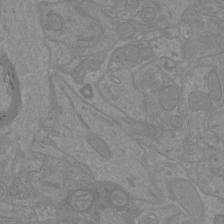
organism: Mouse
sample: Cortical neurons